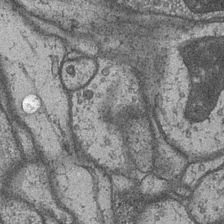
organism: Drosophila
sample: Optic medulla